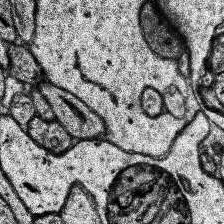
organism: Human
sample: Temporal Lobe